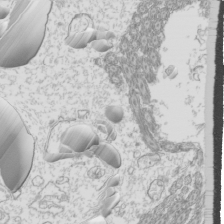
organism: Mouse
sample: Cilia; mouse epididymis